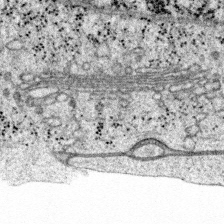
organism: Human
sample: HeLa cells